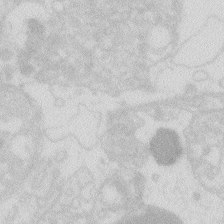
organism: Zebrafish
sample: Macrophage